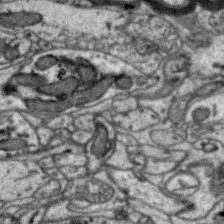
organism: Zebra finch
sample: Brain